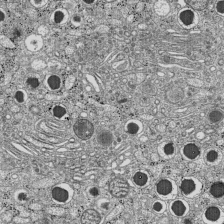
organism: C57BL Mouse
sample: Pancreatic islet